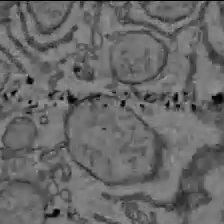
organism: C57BL Mouse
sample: Liver